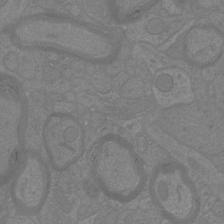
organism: Mouse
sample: Cortical neurons